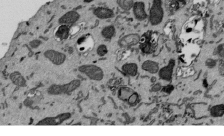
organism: Mouse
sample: ED-1 cell nuclei; centrioles